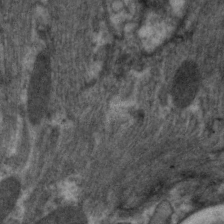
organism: C. elegans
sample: Pharynx